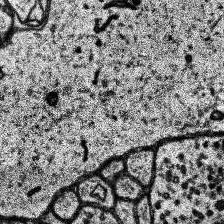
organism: Human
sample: Temporal Lobe